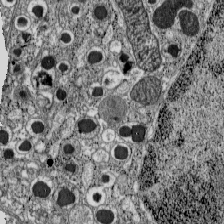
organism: C57BL Mouse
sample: Pancreatic islet